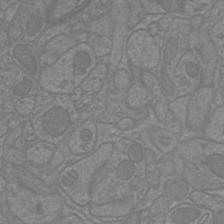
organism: Mouse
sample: Cortical neurons